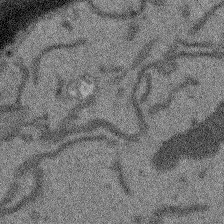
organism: Arabidopsis thaliana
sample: Root tip